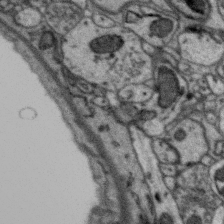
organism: Zebra finch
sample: Brain